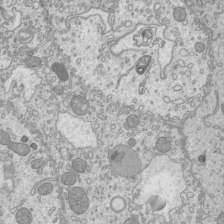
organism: Mouse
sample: Cilia; mouse epididymis